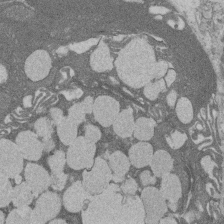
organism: Rat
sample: Salivary granule